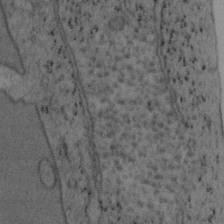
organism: Human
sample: HeLa cells